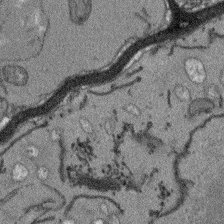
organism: Arabidopsis thaliana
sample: Root tip